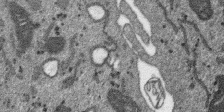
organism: Human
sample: Lung epithelial cells infected with SARS-CoV-2